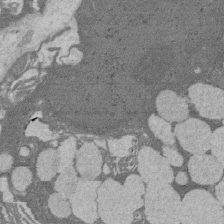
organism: Rat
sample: Salivary granule